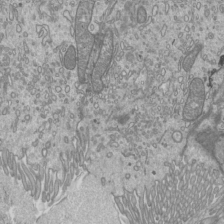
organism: Mouse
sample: Cilia; mouse epididymis